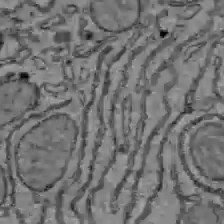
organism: C57BL Mouse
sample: Liver